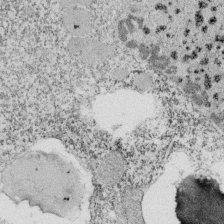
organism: Tetrahymena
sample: Cilia in tetrahymena